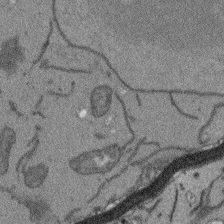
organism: Arabidopsis thaliana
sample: Root tip